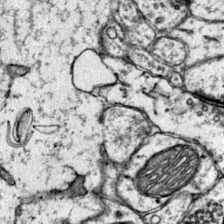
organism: Mouse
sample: Primary visual cortex